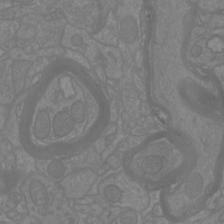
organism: Mouse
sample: Cortical neurons